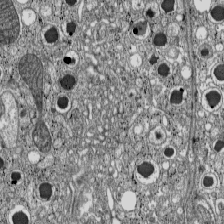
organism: C57BL Mouse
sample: Pancreatic islet